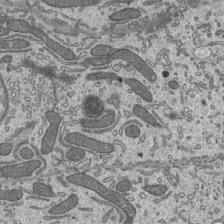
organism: Mouse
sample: Mouse epididymis efferent ductule cilia